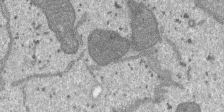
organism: Human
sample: Lung epithelial cells infected with SARS-CoV-2